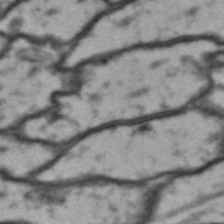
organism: Drosophila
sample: Brain